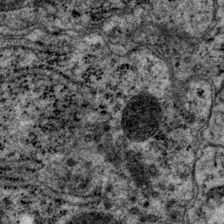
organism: P. pacificus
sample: Pharynx